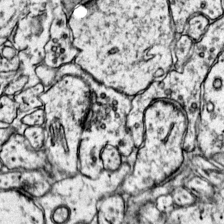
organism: Mouse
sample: Primary visual cortex